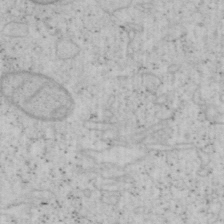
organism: Human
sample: HeLa cells